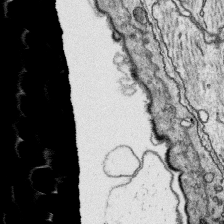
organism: Platynereis dumerilii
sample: Parapodia